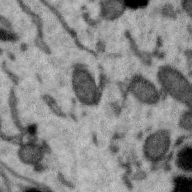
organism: Zebra finch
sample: Brain